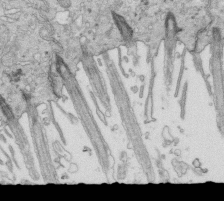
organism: Mouse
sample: Multiciliated cells